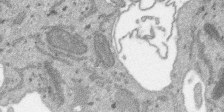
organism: Human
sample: Lung epithelial cells infected with SARS-CoV-2